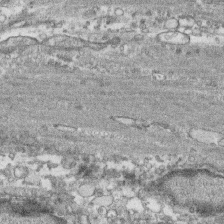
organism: Human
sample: CRL-1474